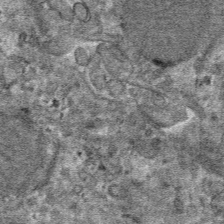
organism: Mouse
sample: Mouse hepatocytes